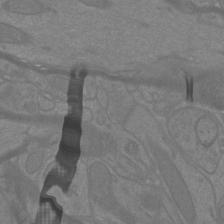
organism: Mouse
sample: Cortical neurons